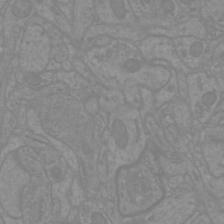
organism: Mouse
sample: Cortical neurons